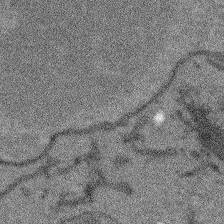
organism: Arabidopsis thaliana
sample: Root tip